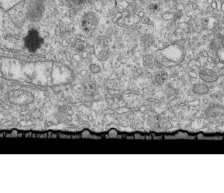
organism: Human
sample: HeLa cell HIV synapse